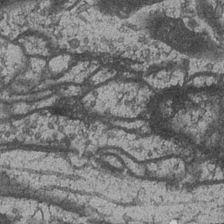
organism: Drosophila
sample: Optic medulla